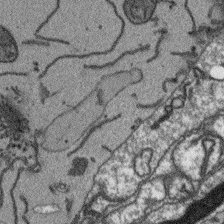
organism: Arabidopsis thaliana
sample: Root tip